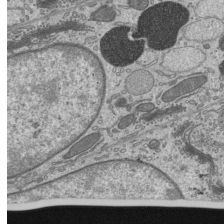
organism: Mouse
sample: Mouse epididymis efferent ductule cilia